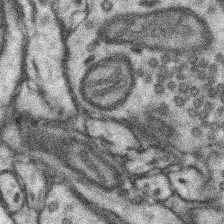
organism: Mouse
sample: Somatosensory cortex neuropil